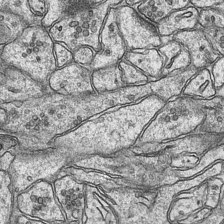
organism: Mouse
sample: CA1 Hippocampus